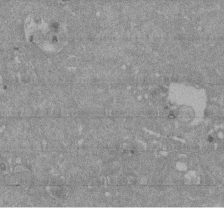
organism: Mouse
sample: ED-1 cell nuclei; centrioles